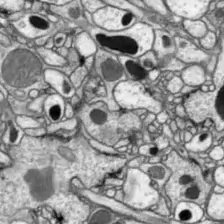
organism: Drosophila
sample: Optic lobe